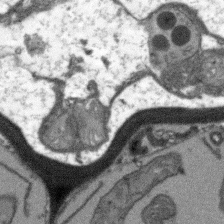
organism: Arabidopsis thaliana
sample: Root tip